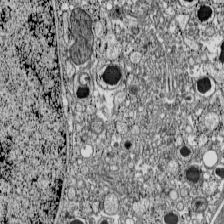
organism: C57BL Mouse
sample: Pancreatic islet